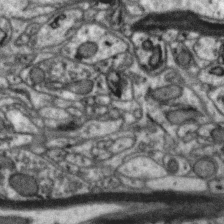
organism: Zebra finch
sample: Brain